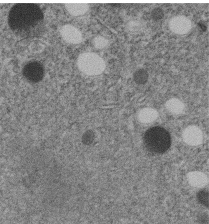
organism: C. elegans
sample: C. elegans embryo early stage